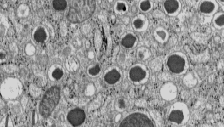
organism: C57BL Mouse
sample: Pancreatic islet